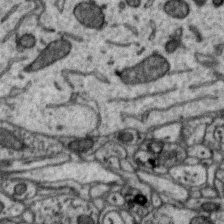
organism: Zebra finch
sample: Brain